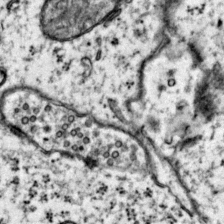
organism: Mouse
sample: Primary visual cortex